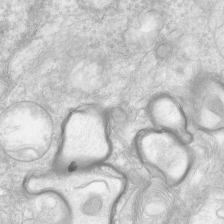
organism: Human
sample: Neocortex